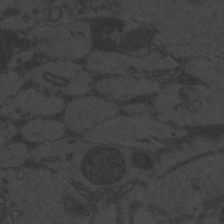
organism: Zebrafish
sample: Macrophage infected with Toxoplasma gondii